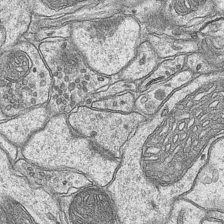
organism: Mouse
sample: CA1 Hippocampus